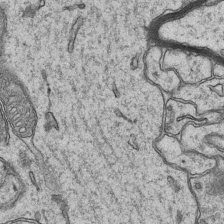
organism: Mouse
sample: CA1 Hippocampus